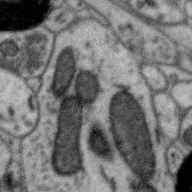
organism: Zebra finch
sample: Brain